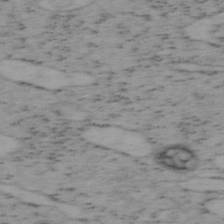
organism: Mouse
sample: OT-I killer T cells with ID8 ovarian cancer cells